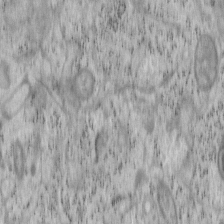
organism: Human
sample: HeLa cells